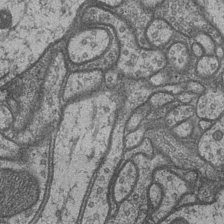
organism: Drosophila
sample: Optic medulla